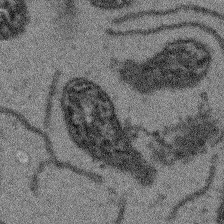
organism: Arabidopsis thaliana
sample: Root tip